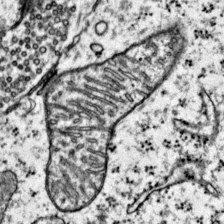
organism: Mouse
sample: Primary visual cortex